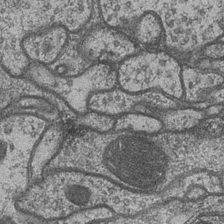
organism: Drosophila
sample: Optic medulla